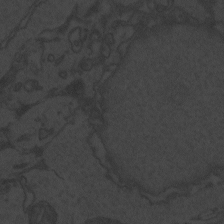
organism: Zebrafish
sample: Macrophage infected with Toxoplasma gondii